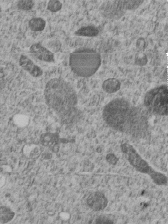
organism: C. elegans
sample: C. elegans embryo early stage